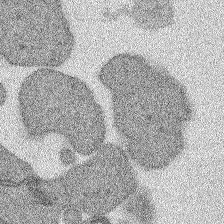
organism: Human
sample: HeLa cells